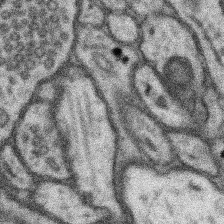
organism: Mouse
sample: Somatosensory cortex neuropil